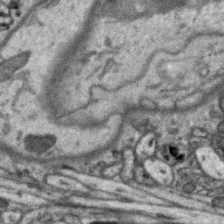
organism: Zebra finch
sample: Brain